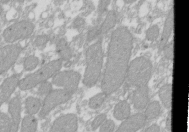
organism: Xenopus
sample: Cilia; centrioles in frog embryo cells